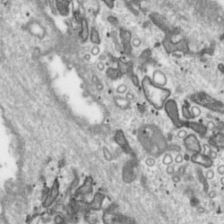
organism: Toxoplasma gondii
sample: Parasites in a vacuole inside a host cell